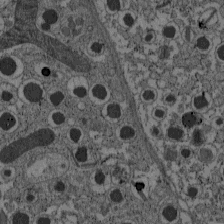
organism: C57BL Mouse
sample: Pancreatic islet